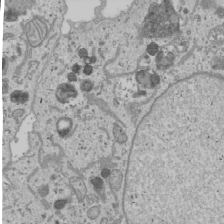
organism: Human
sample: Mitochondria in U2OS cells